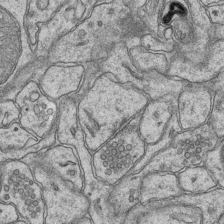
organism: Mouse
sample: CA1 Hippocampus